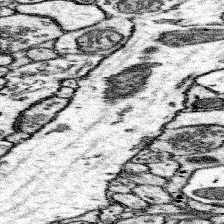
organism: Mouse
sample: Somatosensory cortex neuropil